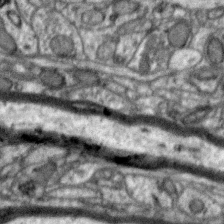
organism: Zebra finch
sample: Brain